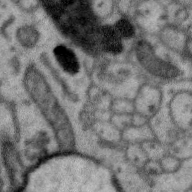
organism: Zebra finch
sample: Brain